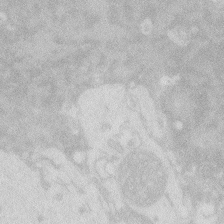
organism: Zebrafish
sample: Macrophage